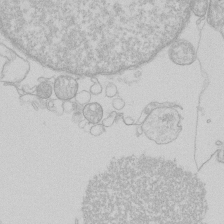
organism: Human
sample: Macrophage cells